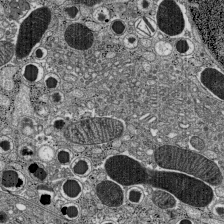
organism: C57BL Mouse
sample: Pancreatic islet